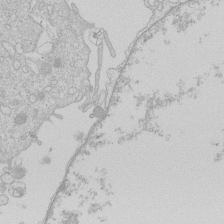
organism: Human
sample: Macrophage cells